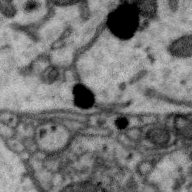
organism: Zebra finch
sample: Brain